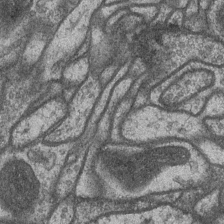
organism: Drosophila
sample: Optic medulla